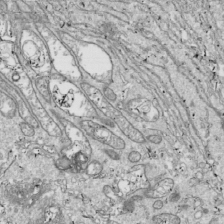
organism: Drosophila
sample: Cell division; meiosis; drosophila spermatocytes